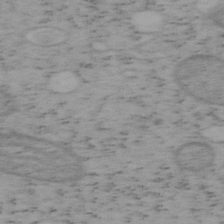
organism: Mouse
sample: OT-I killer T cells with ID8 ovarian cancer cells